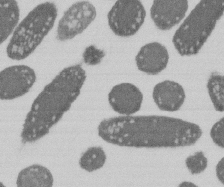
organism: E. coli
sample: Bacterial nucleoid